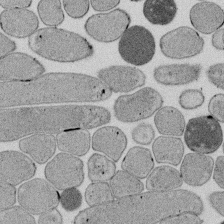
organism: E. coli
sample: Bacterial nucleoid